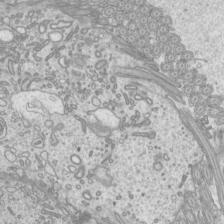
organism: Mouse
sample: Cilia; mouse epididymis